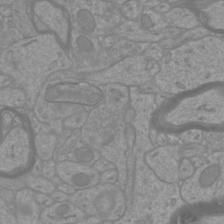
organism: Mouse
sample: Cortical neurons